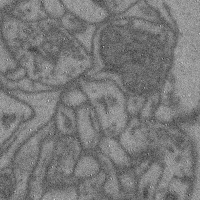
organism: Mouse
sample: Cerebral cortex